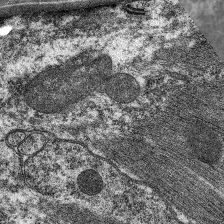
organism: C. elegans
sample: Pharynx